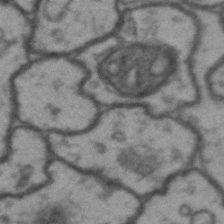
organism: Drosophila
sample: Brain